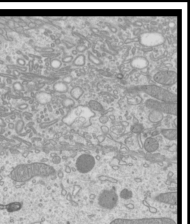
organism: Mouse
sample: Cilia; mouse epididymis